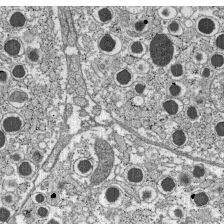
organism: C57BL Mouse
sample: Pancreatic islet